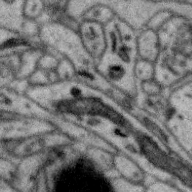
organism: Zebra finch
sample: Brain